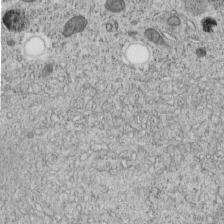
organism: C. elegans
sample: C. elegans embryo early stage